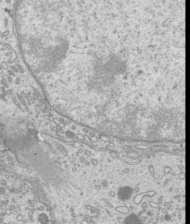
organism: Mouse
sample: Cilia; mouse epididymis